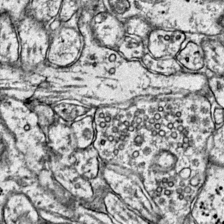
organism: Mouse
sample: Primary visual cortex